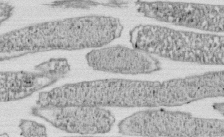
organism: E. coli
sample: Bacterial nucleoid